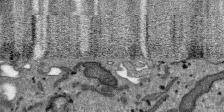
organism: Human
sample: Lung epithelial cells, uninfected (mock) control